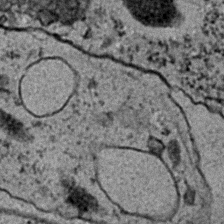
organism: C. elegans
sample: C. elegans embryo